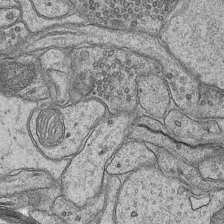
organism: Mouse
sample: CA1 Hippocampus